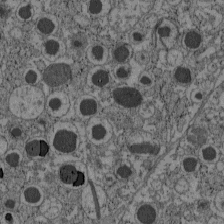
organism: C57BL Mouse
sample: Pancreatic islet